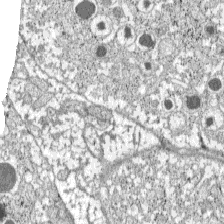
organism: C57BL Mouse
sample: Pancreatic islet